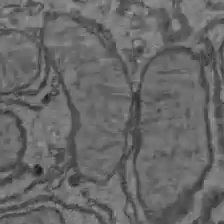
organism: C57BL Mouse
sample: Liver